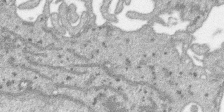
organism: Human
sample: Lung epithelial cells infected with SARS-CoV-2